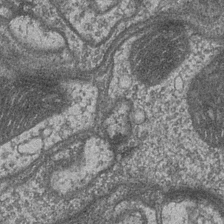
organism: Drosophila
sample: Optic medulla